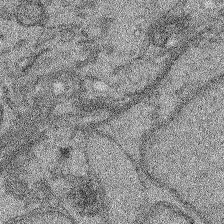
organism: Human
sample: HeLa cells